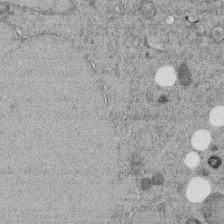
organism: C. elegans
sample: C. elegans embryo early stage